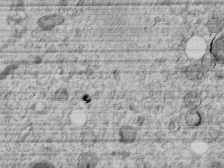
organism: C. elegans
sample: C. elegans embryo early stage